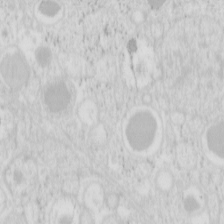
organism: Mouse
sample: Pancreas